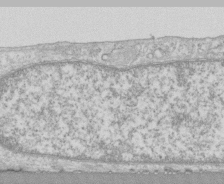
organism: Human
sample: CRL-1474